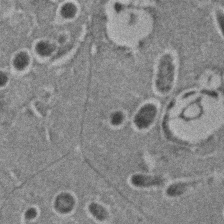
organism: C. elegans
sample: C. elegans embryo